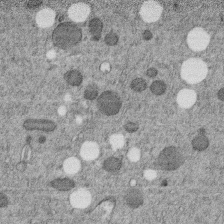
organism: C. elegans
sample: C. elegans embryo early stage